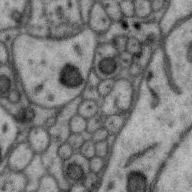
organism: Zebra finch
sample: Brain